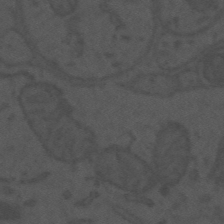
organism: Mouse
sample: Suprachiasmatic nucleus